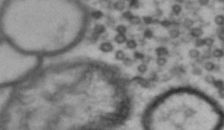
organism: Drosophila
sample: Brain